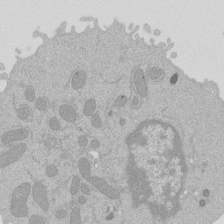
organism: Mouse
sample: Activated Pmel transgenic CD8+ T Cells